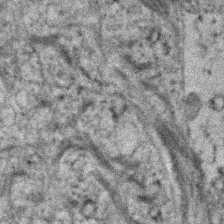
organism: Human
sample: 1205lu cells